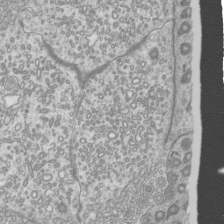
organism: Mouse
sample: Cilia; mouse epididymis